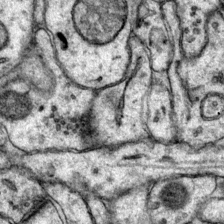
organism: Mouse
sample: Primary visual cortex